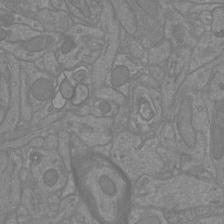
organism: Mouse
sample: Cortical neurons